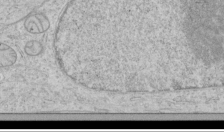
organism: Human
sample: Mitochondria in HCT116 cells